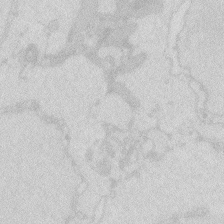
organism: Zebrafish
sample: Macrophage